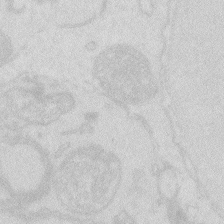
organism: Zebrafish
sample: Macrophage